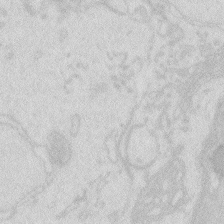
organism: Zebrafish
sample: Macrophage